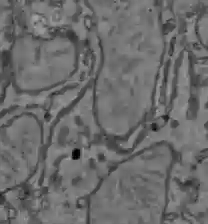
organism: C57BL Mouse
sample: Liver